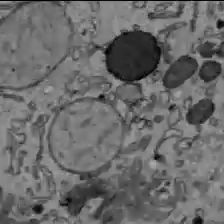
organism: C57BL Mouse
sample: Liver